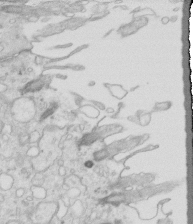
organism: Mouse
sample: Multiciliated cells